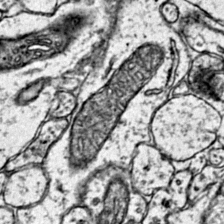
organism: Mouse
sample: Primary visual cortex